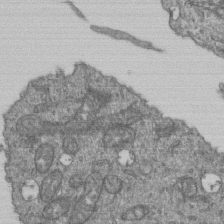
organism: Human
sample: Retinal organoid Rod and Cone cells